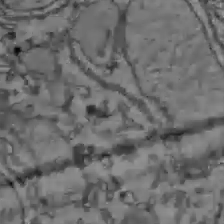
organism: C57BL Mouse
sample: Liver